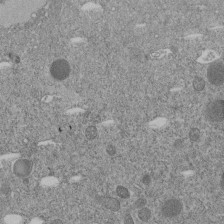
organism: C. elegans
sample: C. elegans embryo early stage